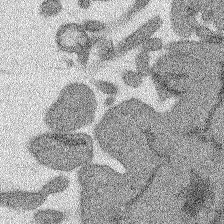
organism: Human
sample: HeLa cells